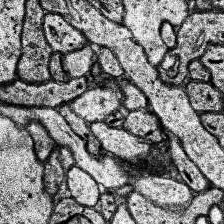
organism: Human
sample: Temporal Lobe